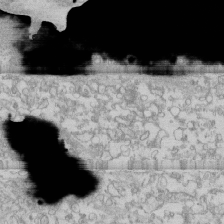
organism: Human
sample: CRL-1474